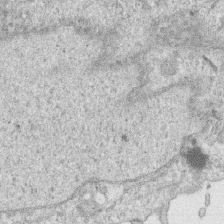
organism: Human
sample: HeLa cell HIV synapse